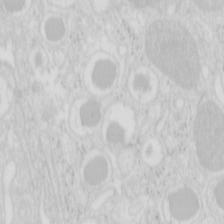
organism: Mouse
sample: Pancreas